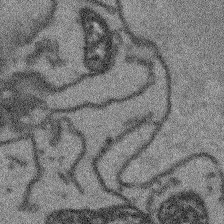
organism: Arabidopsis thaliana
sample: Root tip